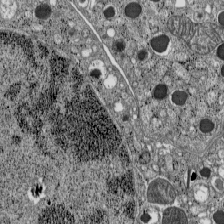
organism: C57BL Mouse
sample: Pancreatic islet